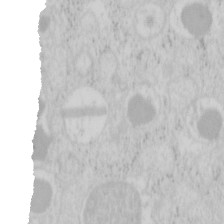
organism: Mouse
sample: Pancreas